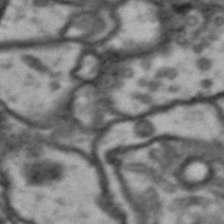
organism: Drosophila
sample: Brain